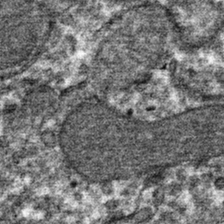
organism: Mouse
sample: Mouse hepatocytes